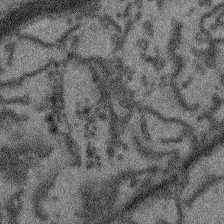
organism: Arabidopsis thaliana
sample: Root tip